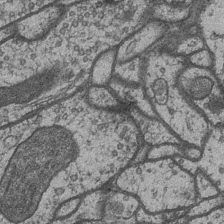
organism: Drosophila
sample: Optic medulla